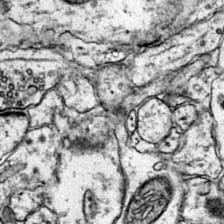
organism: Mouse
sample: Primary visual cortex